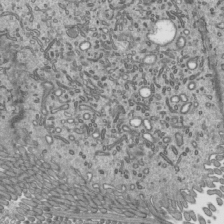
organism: Mouse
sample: Mouse epididymis efferent ductule cilia